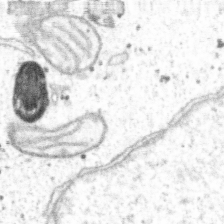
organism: Human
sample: HeLa cells